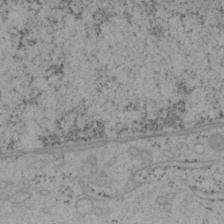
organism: Human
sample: HeLa cells